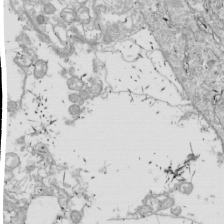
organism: Drosophila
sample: Cell division; meiosis; drosophila spermatocytes